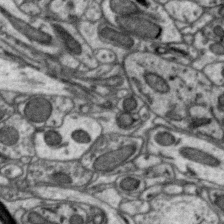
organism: Zebra finch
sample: Brain